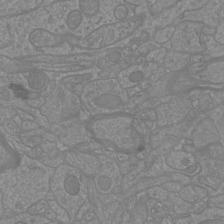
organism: Mouse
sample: Cortical neurons